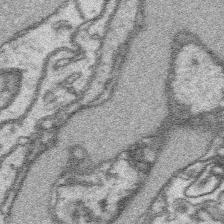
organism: Platynereis dumerilii